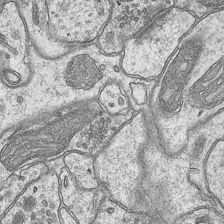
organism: Mouse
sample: CA1 Hippocampus